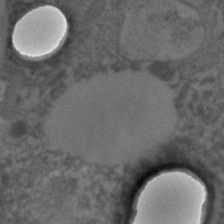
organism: C. elegans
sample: C. elegans embryo